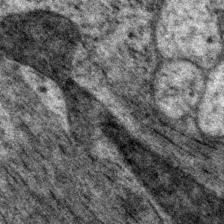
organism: P. pacificus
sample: Pharynx